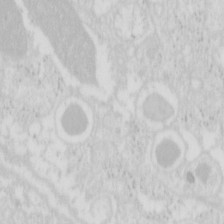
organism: Mouse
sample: Pancreas